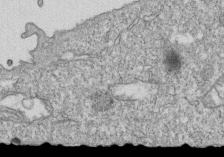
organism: Human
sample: HeLa cell HIV synapse